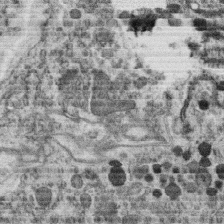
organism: C. elegans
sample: C. elegans oocyte; sperm cells